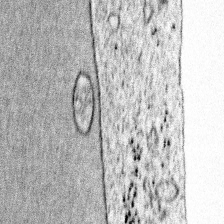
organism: Human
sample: HeLa cells